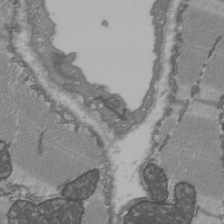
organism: C57BL Mouse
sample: Heart